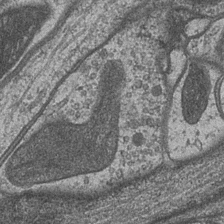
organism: Drosophila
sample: Optic medulla